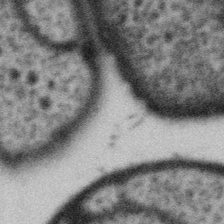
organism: Gemmata obscuriglobus